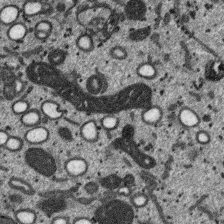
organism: Human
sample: Lung epithelial cells infected with SARS-CoV-2